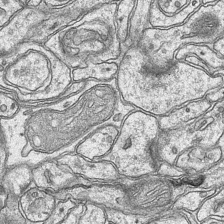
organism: Mouse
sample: CA1 Hippocampus